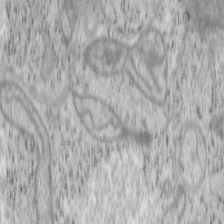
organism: Human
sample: HeLa cells